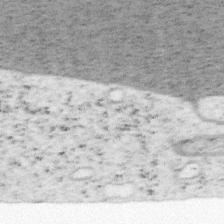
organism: Mouse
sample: OT-I killer T cells with ID8 ovarian cancer cells